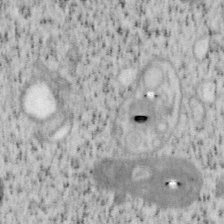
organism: Mouse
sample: OT-I killer T cells with ID8 ovarian cancer cells